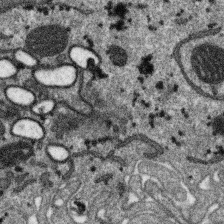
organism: Human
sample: Lung epithelial cells infected with SARS-CoV-2